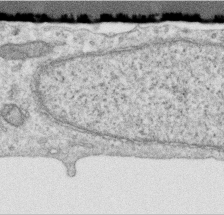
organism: Human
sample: Centriole in RPE cells